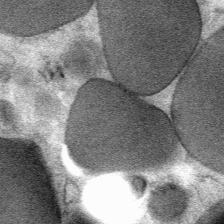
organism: Mouse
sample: Mouse Salivary gland